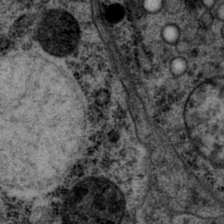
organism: P. pacificus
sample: Pharynx